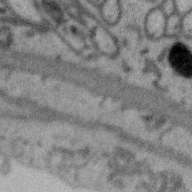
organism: Zebra finch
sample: Brain